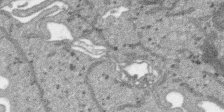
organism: Human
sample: Lung epithelial cells infected with SARS-CoV-2